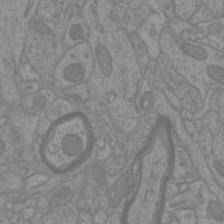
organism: Mouse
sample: Cortical neurons